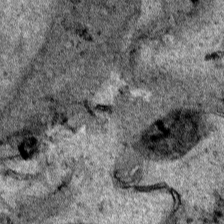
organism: Human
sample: Mitochondria in HCT116 cells